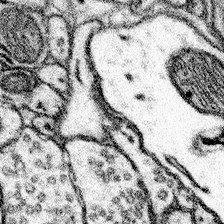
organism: Mouse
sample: Somatosensory cortex neuropil